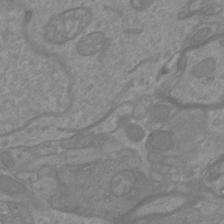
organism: Mouse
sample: Cortical neurons